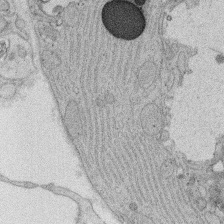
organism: Rat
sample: Salivary granule